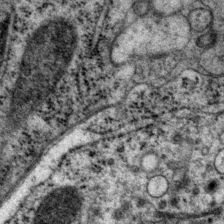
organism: P. pacificus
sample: Pharynx